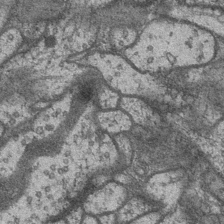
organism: Drosophila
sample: Optic medulla